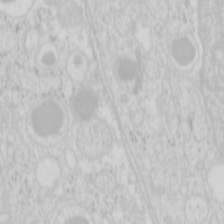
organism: Mouse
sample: Pancreas